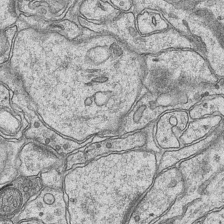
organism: Mouse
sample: CA1 Hippocampus